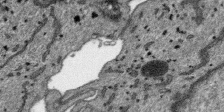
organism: Human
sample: Lung epithelial cells, uninfected (mock) control